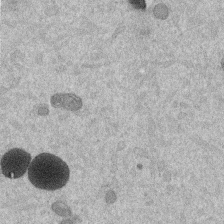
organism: Mouse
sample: Dividing mouse embryo 1 cell stage